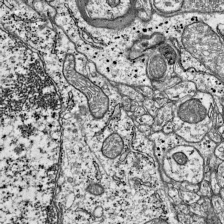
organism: Mouse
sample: Visual Cortex